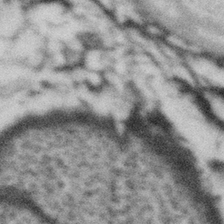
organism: Gemmata obscuriglobus